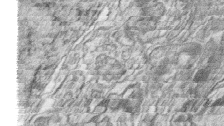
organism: Zebrafish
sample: synaptic ribbons in rod cells and cone cells